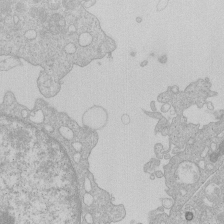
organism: Human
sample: Macrophage cells